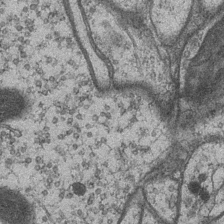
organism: Drosophila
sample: Optic medulla